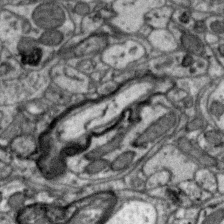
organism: Zebra finch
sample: Brain